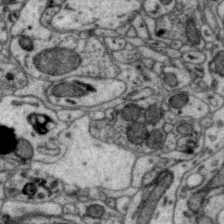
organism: Zebra finch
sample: Brain